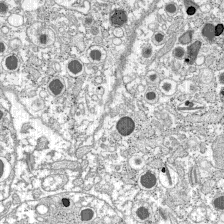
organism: C57BL Mouse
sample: Pancreatic islet